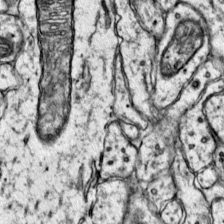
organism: Mouse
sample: Primary visual cortex